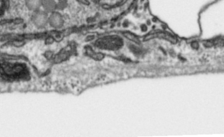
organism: Toxoplasma gondii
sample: Parasites in a vacuole inside a host cell